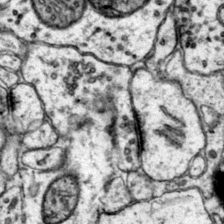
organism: Mouse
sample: Primary visual cortex